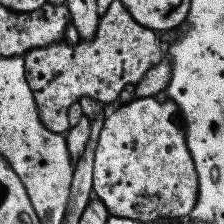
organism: Human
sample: Temporal Lobe